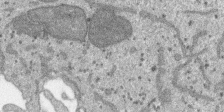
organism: Human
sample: Lung epithelial cells infected with SARS-CoV-2